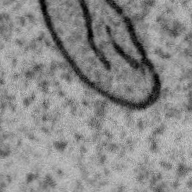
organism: Zebra finch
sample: Brain